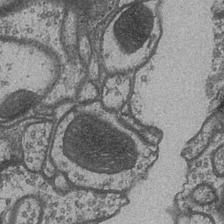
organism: Drosophila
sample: Optic medulla